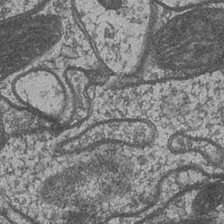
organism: Drosophila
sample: Optic medulla